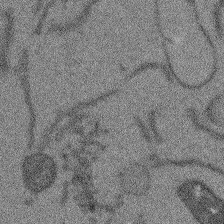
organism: Arabidopsis thaliana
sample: Root tip